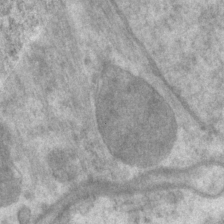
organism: P. pacificus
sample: Pharynx